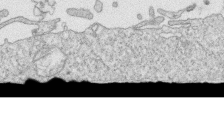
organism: Human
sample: HeLa cell HIV synapse